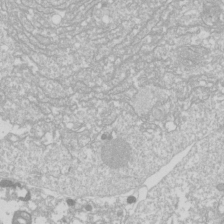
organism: Drosophila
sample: Cell division; meiosis; drosophila spermatocytes